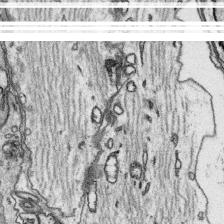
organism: Platynereis dumerilii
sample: Parapodia